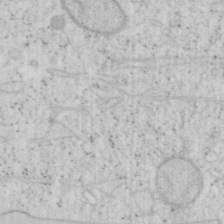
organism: Human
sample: HeLa cells